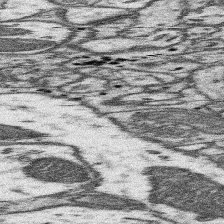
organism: Mouse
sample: Somatosensory cortex neuropil